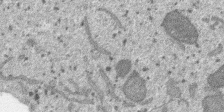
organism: Human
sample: Lung epithelial cells infected with SARS-CoV-2